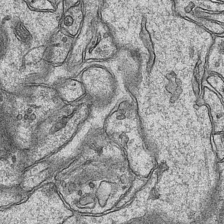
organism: Mouse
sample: CA1 Hippocampus